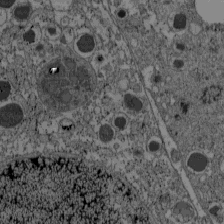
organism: C57BL Mouse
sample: Pancreatic islet